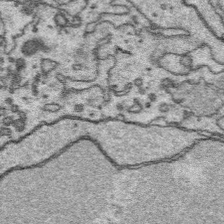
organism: Platynereis dumerilii